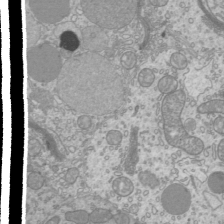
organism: Mouse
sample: Cilia; mouse epididymis